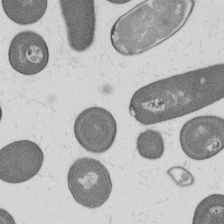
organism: B. subtilis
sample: Bacterial spore